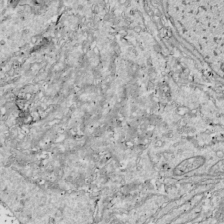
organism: Drosophila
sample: Cell division; meiosis; drosophila spermatocytes